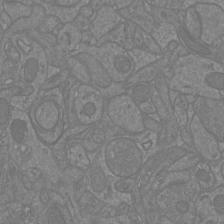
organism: Mouse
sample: Cortical neurons